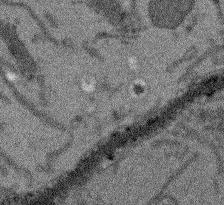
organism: Arabidopsis thaliana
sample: Root tip